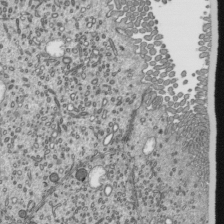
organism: Mouse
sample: Mouse epididymis efferent ductule cilia